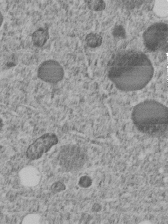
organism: C. elegans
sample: C. elegans embryo early stage